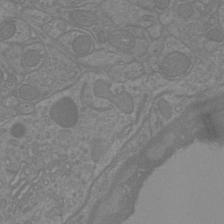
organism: Mouse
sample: Cortical neurons